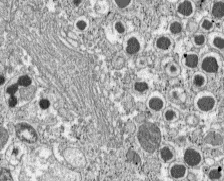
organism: C57BL Mouse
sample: Pancreatic islet